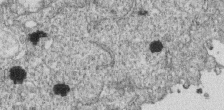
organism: Human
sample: HeLa cell HIV synapse